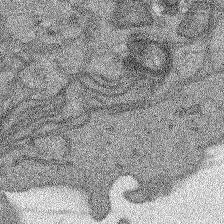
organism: Human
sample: HeLa cells